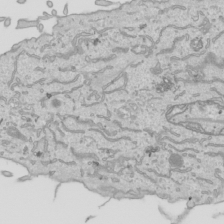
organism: Human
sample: Mitochondria in HCT116 cells